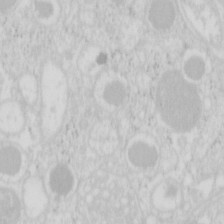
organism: Mouse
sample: Pancreas